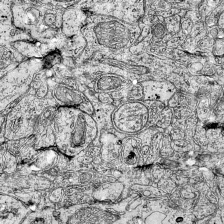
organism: Mouse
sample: Visual Cortex